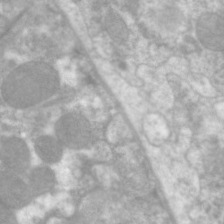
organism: C. elegans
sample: Pharynx